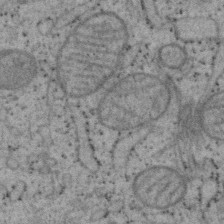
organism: Human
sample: HeLa cells